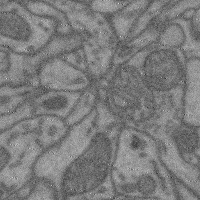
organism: Mouse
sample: Cerebral cortex